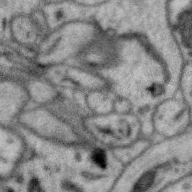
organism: Zebra finch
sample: Brain